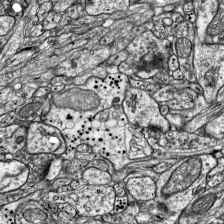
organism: Mouse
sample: Visual Cortex